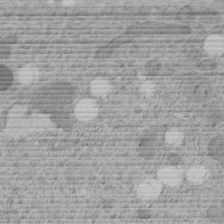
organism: C. elegans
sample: C. elegans embryo early stage